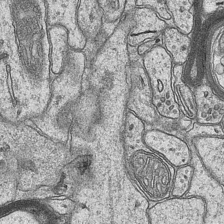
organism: Mouse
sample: CA1 Hippocampus